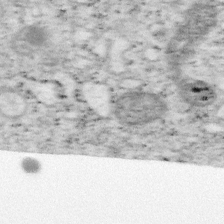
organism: Mouse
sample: OT-I killer T cells with ID8 ovarian cancer cells